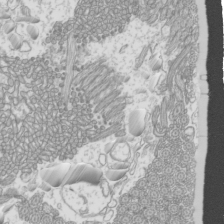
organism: Mouse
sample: Cilia; mouse epididymis